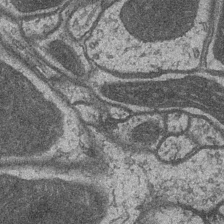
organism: Drosophila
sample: Optic medulla